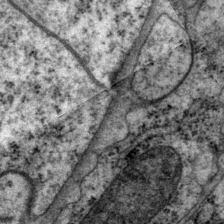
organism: P. pacificus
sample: Pharynx